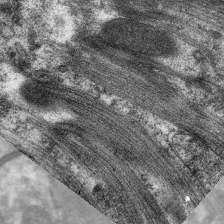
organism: C. elegans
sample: Pharynx